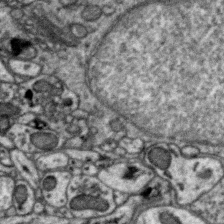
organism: Zebra finch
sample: Brain